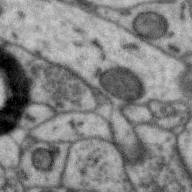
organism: Zebra finch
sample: Brain